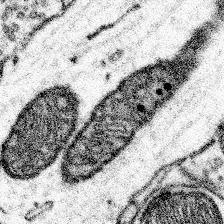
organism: Mouse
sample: Somatosensory cortex neuropil